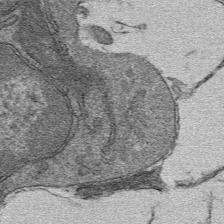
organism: Mouse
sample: Mouse hepatocytes